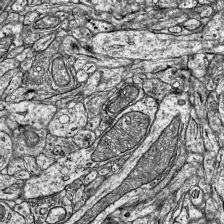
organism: Mouse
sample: Visual Cortex